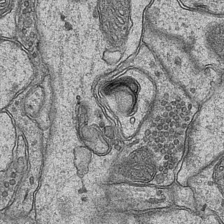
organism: Mouse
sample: CA1 Hippocampus